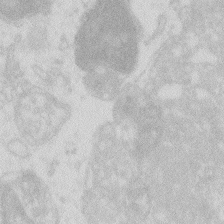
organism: Zebrafish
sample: Macrophage